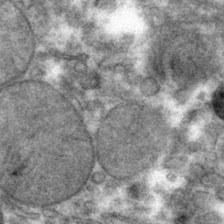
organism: Mouse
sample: Mouse hepatocytes